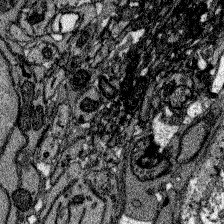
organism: Zebrafish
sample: Larval olfactory bulb